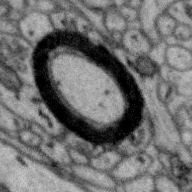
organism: Zebra finch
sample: Brain